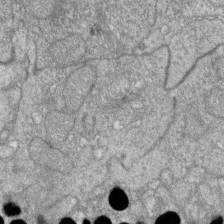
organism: Zebrafish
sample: Cilia; retinal pigment epithelium